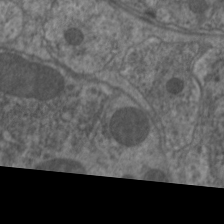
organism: C. elegans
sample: Pharynx